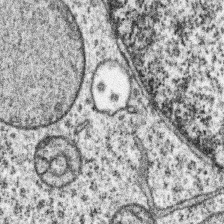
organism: Human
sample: HeLa cells